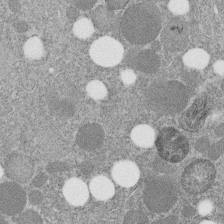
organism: C. elegans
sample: C. elegans embryo early stage